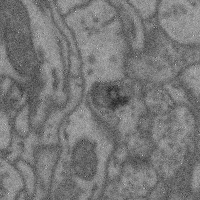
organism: Mouse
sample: Cerebral cortex